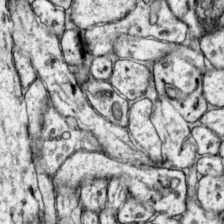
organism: Mouse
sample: Primary visual cortex